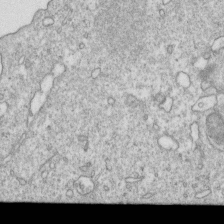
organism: Mouse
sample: Activated OT-1 CD8+ T cells